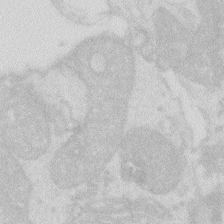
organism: Zebrafish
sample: Macrophage